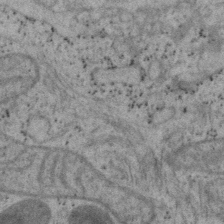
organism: Human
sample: HeLa cells